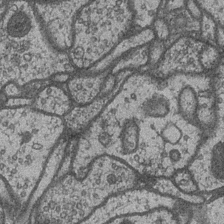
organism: Drosophila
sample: Optic medulla